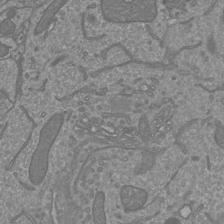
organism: Mouse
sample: Cortical neurons